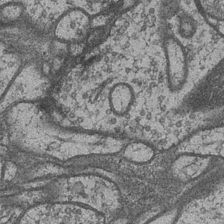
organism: Drosophila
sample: Optic medulla